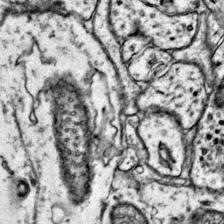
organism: Mouse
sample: Primary visual cortex